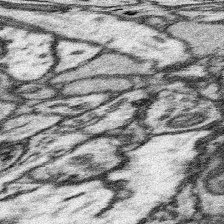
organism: Mouse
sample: Somatosensory cortex neuropil